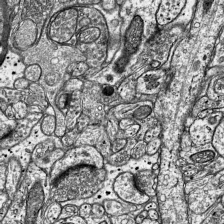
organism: Mouse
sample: Visual Cortex